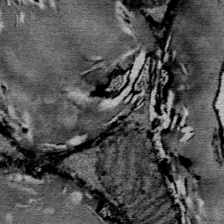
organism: Mouse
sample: Mouse Salivary gland